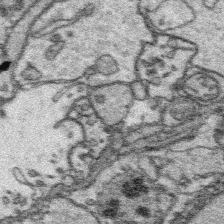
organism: Platynereis dumerilii